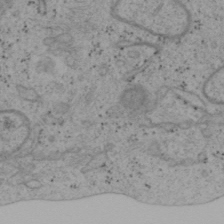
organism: Human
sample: HeLa cells